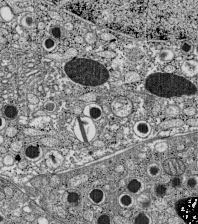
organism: C57BL Mouse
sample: Pancreatic islet